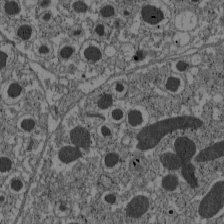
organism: C57BL Mouse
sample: Pancreatic islet